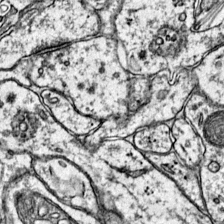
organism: Mouse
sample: Primary visual cortex